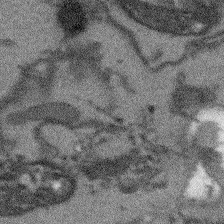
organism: Arabidopsis thaliana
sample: Root tip